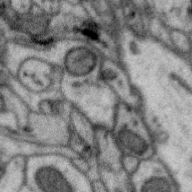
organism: Zebra finch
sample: Brain